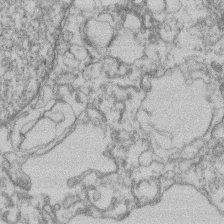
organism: Mouse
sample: T cell stromal cell synapse